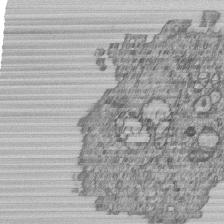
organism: Human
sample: MDA-MB-231 cells